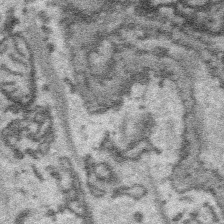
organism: Platynereis dumerilii